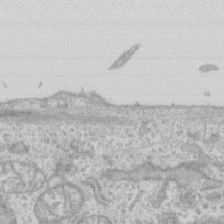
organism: Human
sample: CRL-1474